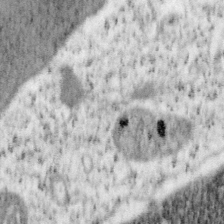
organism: Mouse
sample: OT-I killer T cells with ID8 ovarian cancer cells